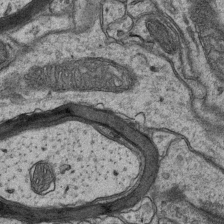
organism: Mouse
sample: CA1 Hippocampus